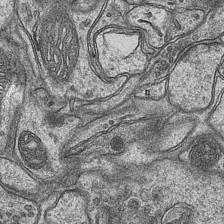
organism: Mouse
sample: CA1 Hippocampus